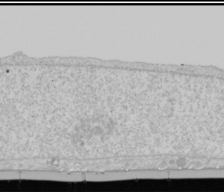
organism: Human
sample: Mitochondria in U2OS cells